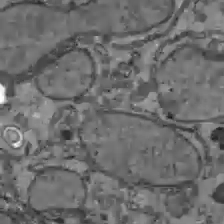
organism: C57BL Mouse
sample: Liver